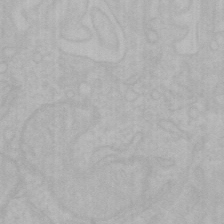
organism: Mouse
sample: Choroid plexus